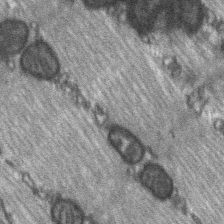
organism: C57BL Mouse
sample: Soleus